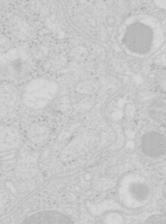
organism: Mouse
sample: Pancreas